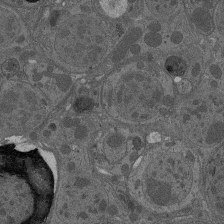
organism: Drosophila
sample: Antenna